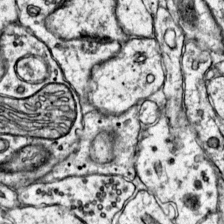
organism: Mouse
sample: Primary visual cortex